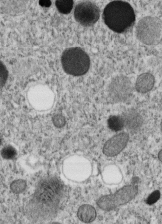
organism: C. elegans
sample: C. elegans embryo early stage